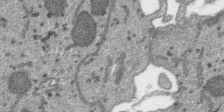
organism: Human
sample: Lung epithelial cells infected with SARS-CoV-2